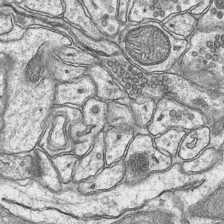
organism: Mouse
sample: CA1 Hippocampus